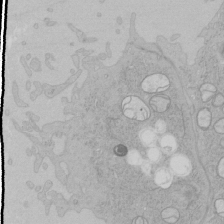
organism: Human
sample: Mitochondria in HCT116 cells